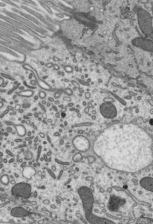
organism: Mouse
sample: Mouse epididymis efferent ductule cilia